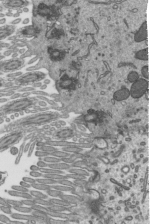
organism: Mouse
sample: Mouse epididymis efferent ductule cilia